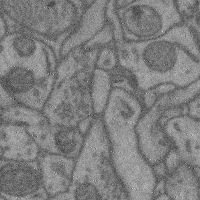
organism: Mouse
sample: Cerebral cortex